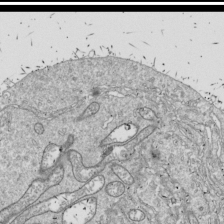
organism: Drosophila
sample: Cell division; meiosis; drosophila spermatocytes